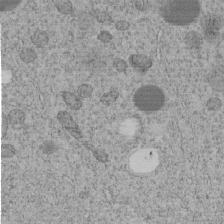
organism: C. elegans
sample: C. elegans embryo early stage